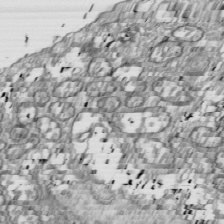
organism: Drosophila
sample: Cell division; meiosis; drosophila spermatocytes